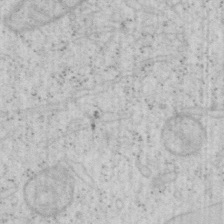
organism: Human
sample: HeLa cells